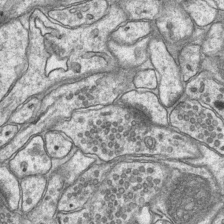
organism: Mouse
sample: CA1 Hippocampus